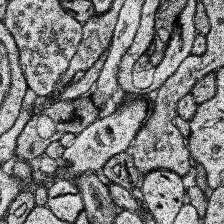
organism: Human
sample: Temporal Lobe